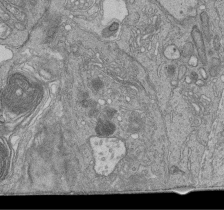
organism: Human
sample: Retinal organoid Rod and Cone cells